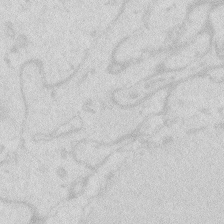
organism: Zebrafish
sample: Macrophage